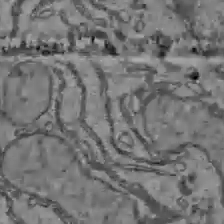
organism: C57BL Mouse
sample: Liver